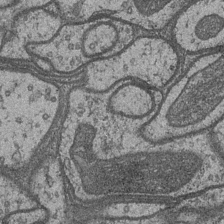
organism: Drosophila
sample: Optic medulla